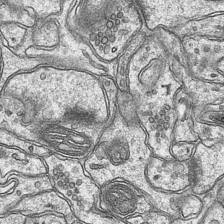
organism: Mouse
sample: CA1 Hippocampus